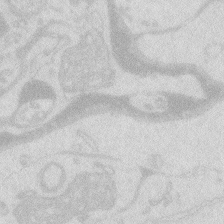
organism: Zebrafish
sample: Macrophage